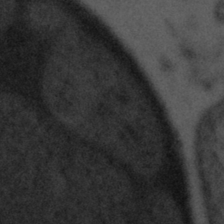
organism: Tuwongella immobilis